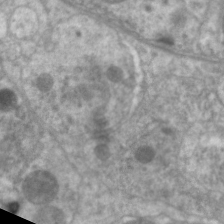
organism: C. elegans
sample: Pharynx